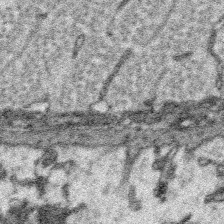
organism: Platynereis dumerilii